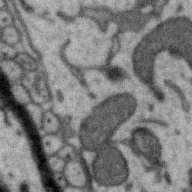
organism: Zebra finch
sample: Brain